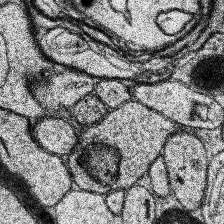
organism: Human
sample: Temporal Lobe